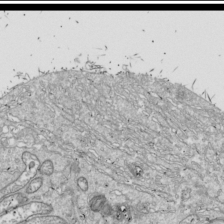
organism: Drosophila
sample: Cell division; meiosis; drosophila spermatocytes